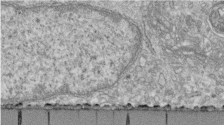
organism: Human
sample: Centriole in fibroblast cells